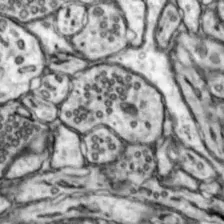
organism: Mouse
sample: Nucleus accumbens